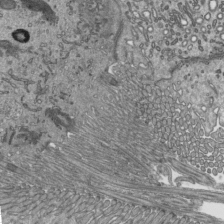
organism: Mouse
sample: Mouse epididymis efferent ductule cilia